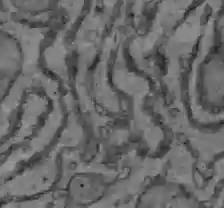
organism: C57BL Mouse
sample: Liver